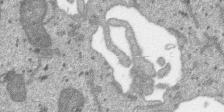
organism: Human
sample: Lung epithelial cells infected with SARS-CoV-2